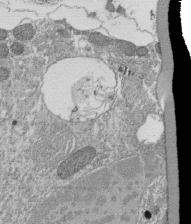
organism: Tetrahymena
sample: Cilia in tetrahymena